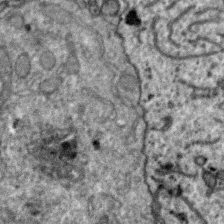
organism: Zebra finch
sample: Brain